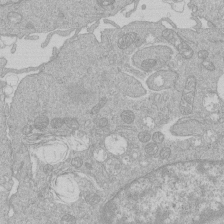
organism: Human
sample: Macrophage cells